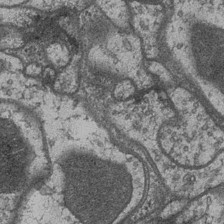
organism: Drosophila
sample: Optic medulla